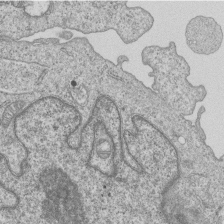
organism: Human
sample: MDA-MB-231 cells